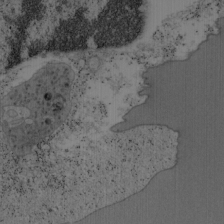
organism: Mouse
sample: OT-I killer T cells with ID8 ovarian cancer cells